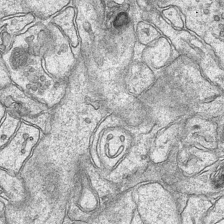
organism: Mouse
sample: CA1 Hippocampus